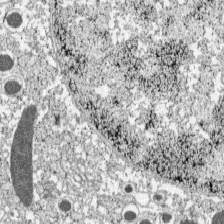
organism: C57BL Mouse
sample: Pancreatic islet